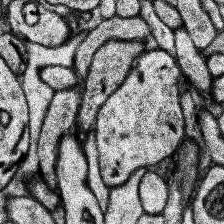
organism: Human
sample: Temporal Lobe